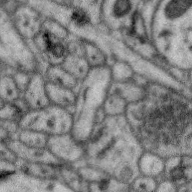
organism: Zebra finch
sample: Brain